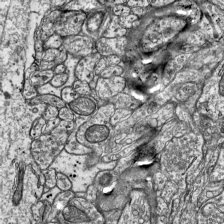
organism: Mouse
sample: Visual Cortex